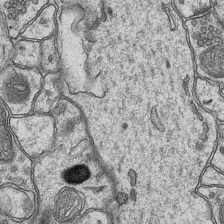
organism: Mouse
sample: CA1 Hippocampus